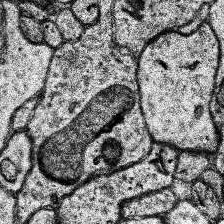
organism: Human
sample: Temporal Lobe